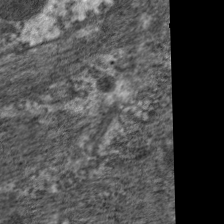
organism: C. elegans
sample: Pharynx